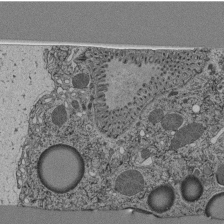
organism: C. elegans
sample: C. elegans pharynx